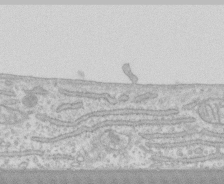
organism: Human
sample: CRL-1474